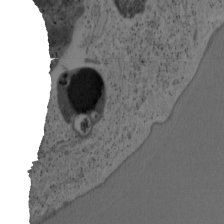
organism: Mouse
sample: OT-I killer T cells with ID8 ovarian cancer cells